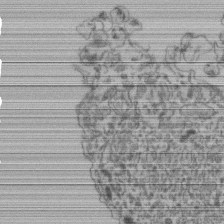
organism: Human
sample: Retinal organoid Rod and Cone cells